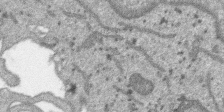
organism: Human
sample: Lung epithelial cells infected with SARS-CoV-2